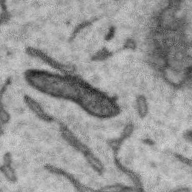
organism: Zebra finch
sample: Brain